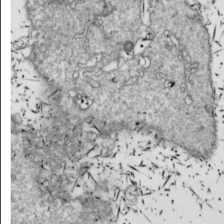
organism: Drosophila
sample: Cell division; meiosis; drosophila spermatocytes